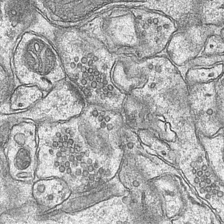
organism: Mouse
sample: CA1 Hippocampus